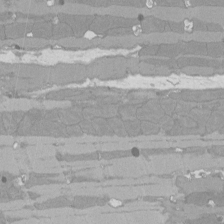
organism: Rat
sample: Left ventricle